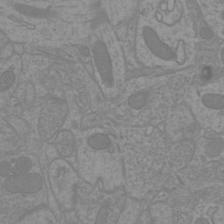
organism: Mouse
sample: Cortical neurons